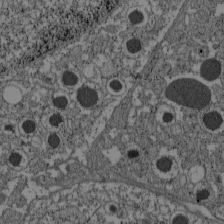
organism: C57BL Mouse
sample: Pancreatic islet